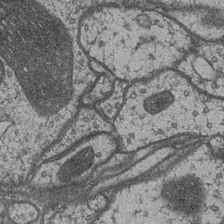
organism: Drosophila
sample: Optic medulla